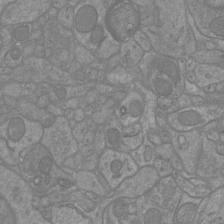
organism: Mouse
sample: Cortical neurons